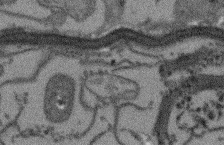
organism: Arabidopsis thaliana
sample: Root tip